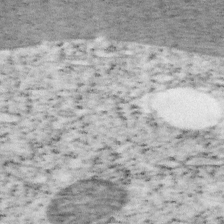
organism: Mouse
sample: OT-I killer T cells with ID8 ovarian cancer cells